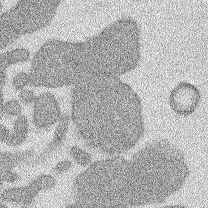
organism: Human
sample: HeLa cells